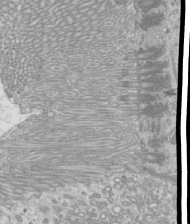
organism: Mouse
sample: Cilia; mouse epididymis